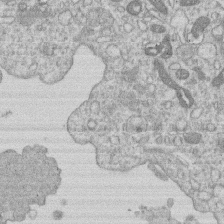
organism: Human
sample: Macrophage cells